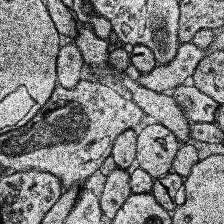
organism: Human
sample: Temporal Lobe